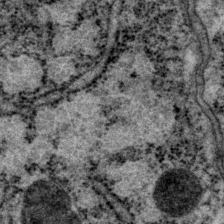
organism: P. pacificus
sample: Pharynx